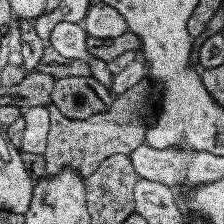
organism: Human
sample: Temporal Lobe